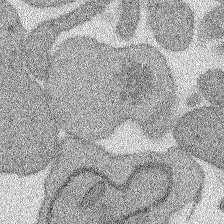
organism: Human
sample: HeLa cells